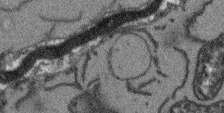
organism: Arabidopsis thaliana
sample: Root tip